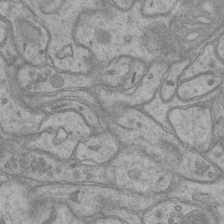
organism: Mouse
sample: CA1 Hippocampus